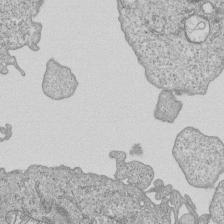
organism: Human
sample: MDA-MB-231 cells